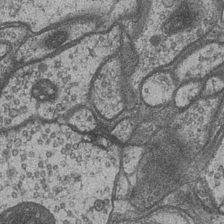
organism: Drosophila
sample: Optic medulla